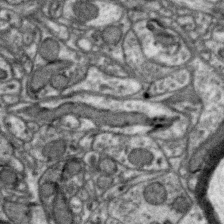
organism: Zebra finch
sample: Brain